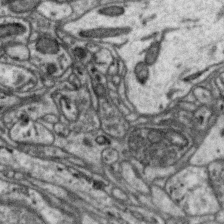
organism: Zebra finch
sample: Brain